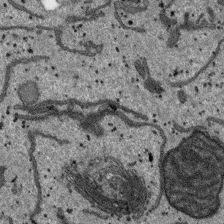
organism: Human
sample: Lung epithelial cells, uninfected (mock) control